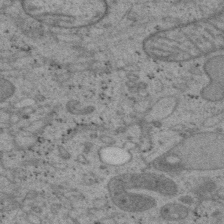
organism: Human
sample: HeLa cells